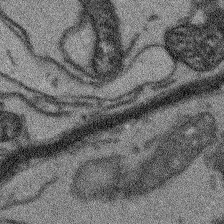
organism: Arabidopsis thaliana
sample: Root tip